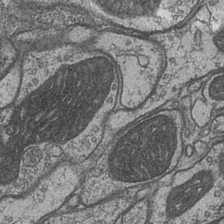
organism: Drosophila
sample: Optic medulla